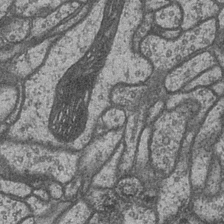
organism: Drosophila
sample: Optic medulla